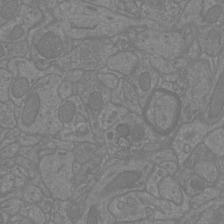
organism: Mouse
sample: Cortical neurons